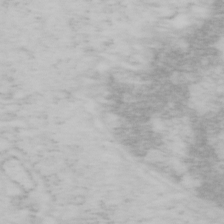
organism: Mouse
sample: OT-I killer T cells with ID8 ovarian cancer cells